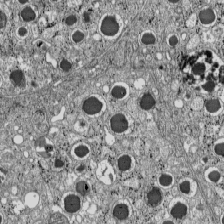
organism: C57BL Mouse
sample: Pancreatic islet